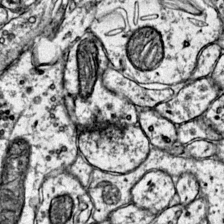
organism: Mouse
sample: Primary visual cortex